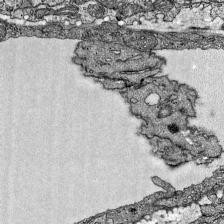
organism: Mouse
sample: Visual Cortex